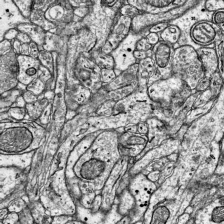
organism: Mouse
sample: Visual Cortex